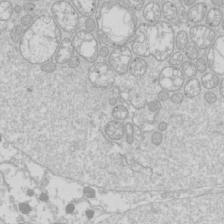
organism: Drosophila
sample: Cell division; meiosis; drosophila spermatocytes